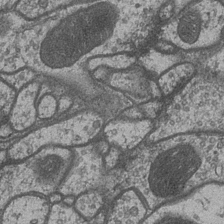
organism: Drosophila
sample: Optic medulla